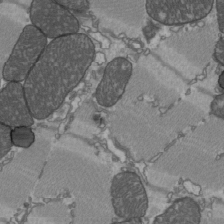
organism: C57BL Mouse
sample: Heart